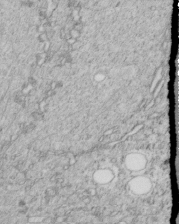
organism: C. elegans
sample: C. elegans embryo early stage